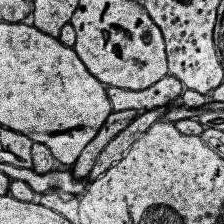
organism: Human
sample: Temporal Lobe